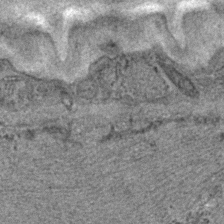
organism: C. elegans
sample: C. elegans embryo